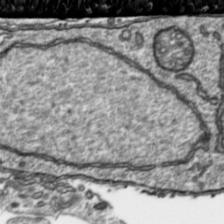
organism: Toxoplasma gondii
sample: Parasites in a vacuole inside a host cell